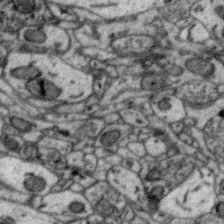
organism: Zebra finch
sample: Brain